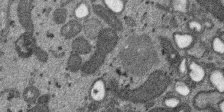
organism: Human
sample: Lung epithelial cells infected with SARS-CoV-2